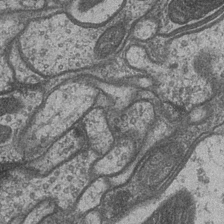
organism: Drosophila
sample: Optic medulla